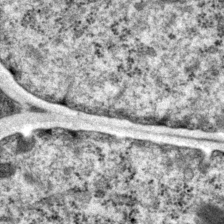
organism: P. pacificus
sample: Pharynx